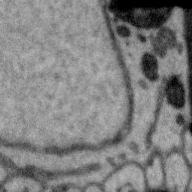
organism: Zebra finch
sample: Brain